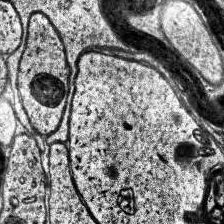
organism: Human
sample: Temporal Lobe